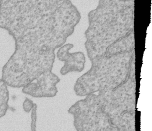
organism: Human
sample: MDA-MB-231 cells